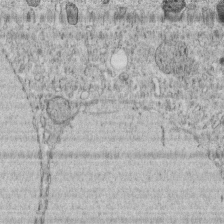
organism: C. elegans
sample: C. elegans embryo early stage